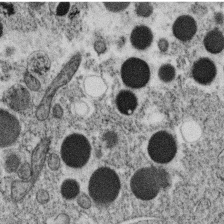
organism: C. elegans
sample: C. elegans oocyte; sperm cells